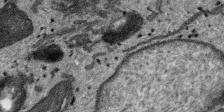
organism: Human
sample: Lung epithelial cells, uninfected (mock) control